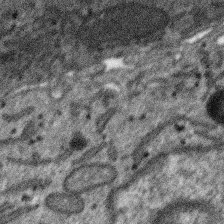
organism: Human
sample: Lung epithelial cells infected with SARS-CoV-2